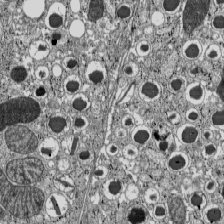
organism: C57BL Mouse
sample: Pancreatic islet